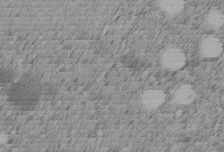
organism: C. elegans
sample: C. elegans embryo early stage